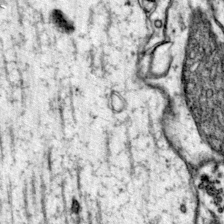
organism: Mouse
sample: Primary visual cortex